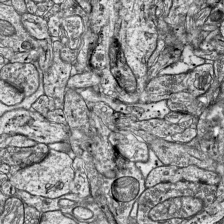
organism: Mouse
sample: Visual Cortex